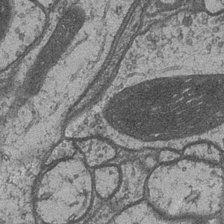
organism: Drosophila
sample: Optic medulla